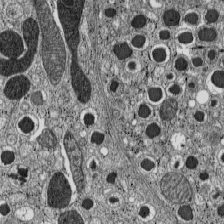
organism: C57BL Mouse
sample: Pancreatic islet